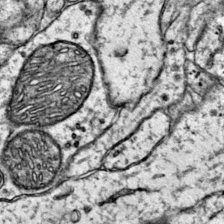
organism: Mouse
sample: Primary visual cortex